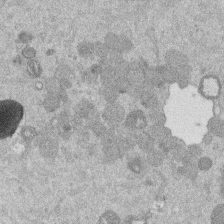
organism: Mouse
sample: Dividing mouse embryo 1 cell stage